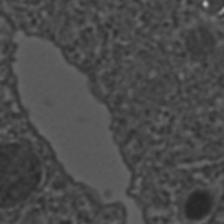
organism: C. elegans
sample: C. elegans embryo